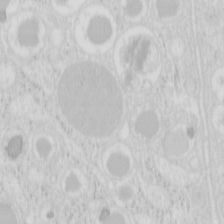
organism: Mouse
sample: Pancreas